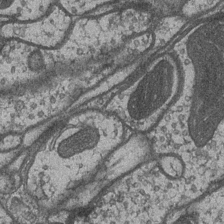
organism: Drosophila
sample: Optic medulla